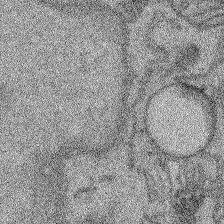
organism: Human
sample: HeLa cells